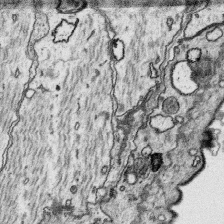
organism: Platynereis dumerilii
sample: Parapodia